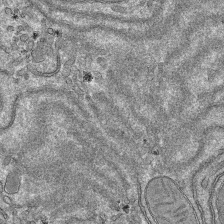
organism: Mouse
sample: Mouse hepatocytes